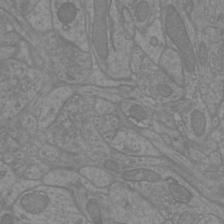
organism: Mouse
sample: Cortical neurons